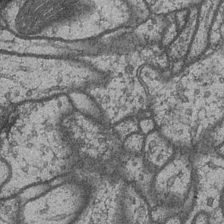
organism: Drosophila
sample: Optic medulla